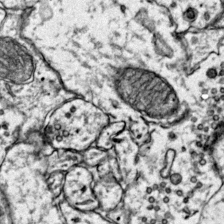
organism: Mouse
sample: Primary visual cortex